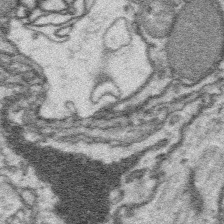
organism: Platynereis dumerilii